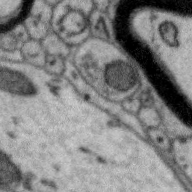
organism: Zebra finch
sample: Brain